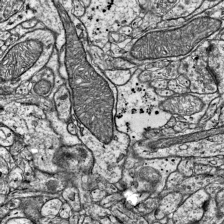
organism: Mouse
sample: Visual Cortex